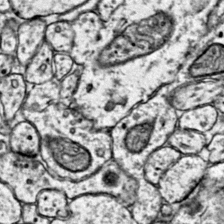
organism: Mouse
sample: Primary visual cortex